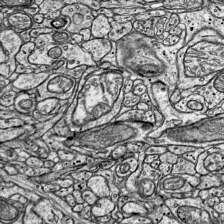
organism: Mouse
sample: Visual Cortex